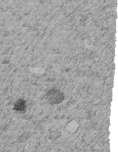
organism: C. elegans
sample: C. elegans embryo early stage